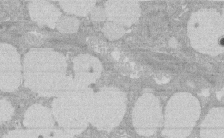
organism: Rat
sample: Salivary granule